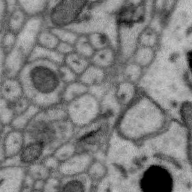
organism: Zebra finch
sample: Brain